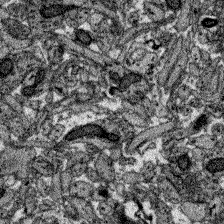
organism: Zebrafish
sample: Larval olfactory bulb